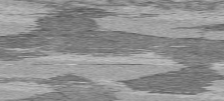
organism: C57BL Mouse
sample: Heart